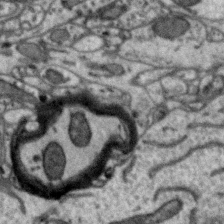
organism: Zebra finch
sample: Brain